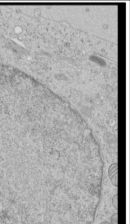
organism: Human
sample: Mitochondria in HCT116 cells